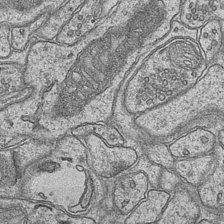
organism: Mouse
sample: CA1 Hippocampus